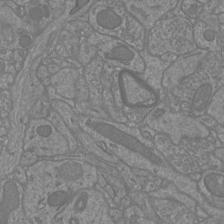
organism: Mouse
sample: Cortical neurons